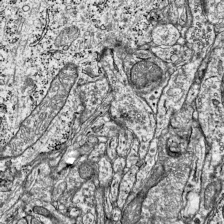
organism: Mouse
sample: Visual Cortex